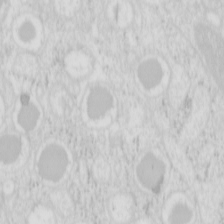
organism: Mouse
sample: Pancreas